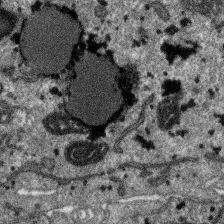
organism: Human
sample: Lung epithelial cells infected with SARS-CoV-2